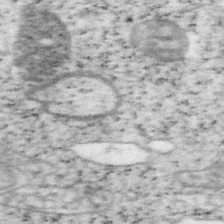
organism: Mouse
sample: OT-I killer T cells with ID8 ovarian cancer cells